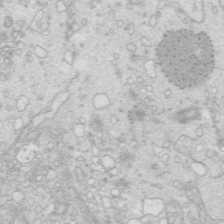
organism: Mouse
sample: Multiciliated cells